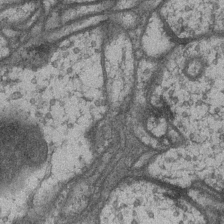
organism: Drosophila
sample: Optic medulla